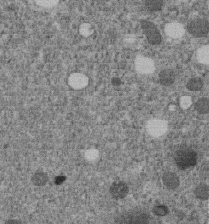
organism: C. elegans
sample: C. elegans embryo early stage